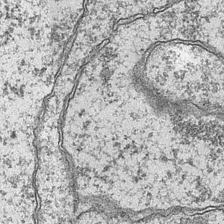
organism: Mouse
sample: CA1 Hippocampus